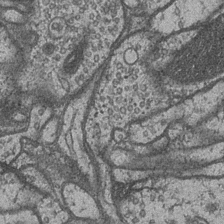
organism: Drosophila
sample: Optic medulla